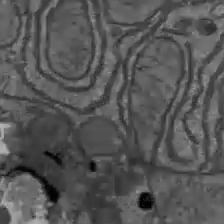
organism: C57BL Mouse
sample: Liver